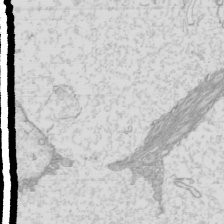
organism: Mouse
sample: Cilia; mouse epididymis